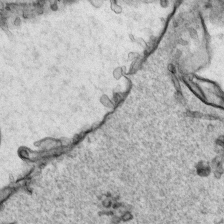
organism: Human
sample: Mitochondria in HCT116 cells